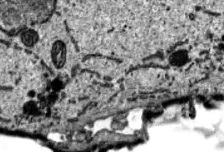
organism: Human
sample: HeLa cells